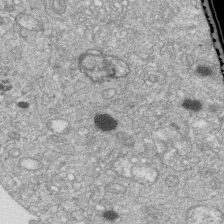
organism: Human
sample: HeLa cell HIV synapse